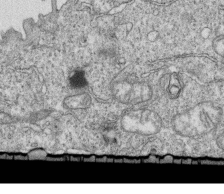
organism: Human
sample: HeLa cell HIV synapse